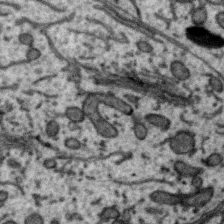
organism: Zebra finch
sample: Brain